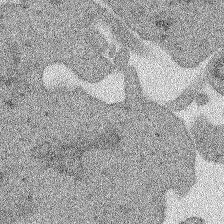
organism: Human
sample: HeLa cells